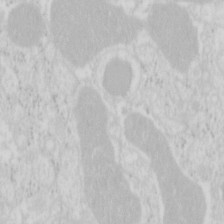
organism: Mouse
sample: Pancreas